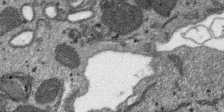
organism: Human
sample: Lung epithelial cells infected with SARS-CoV-2